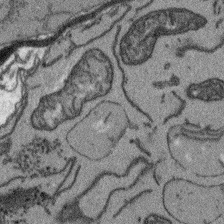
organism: Arabidopsis thaliana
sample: Root tip